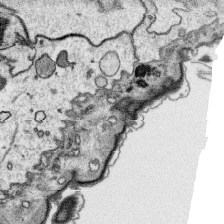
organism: Platynereis dumerilii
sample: Parapodia